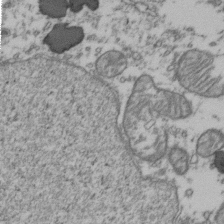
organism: Human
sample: Activated Jurkat CD4+ T cells